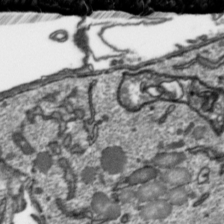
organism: Toxoplasma gondii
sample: Parasites in a vacuole inside a host cell